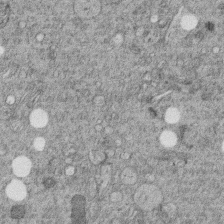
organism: C. elegans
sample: C. elegans embryo early stage